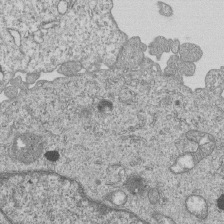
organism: Human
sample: MDA-MB-231 cells